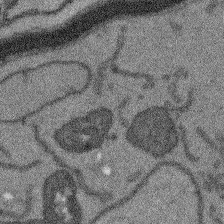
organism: Arabidopsis thaliana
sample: Root tip